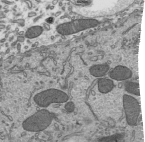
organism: Mouse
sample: Mouse epididymis efferent ductule cilia